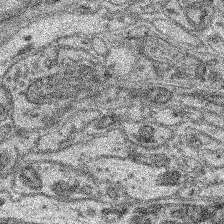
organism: Mouse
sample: Retina